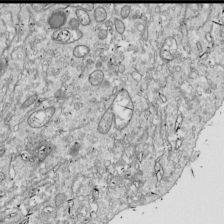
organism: Drosophila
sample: Cell division; meiosis; drosophila spermatocytes